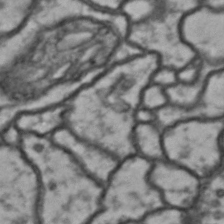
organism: Drosophila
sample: Brain